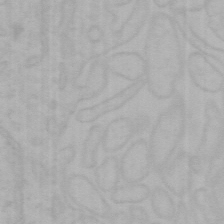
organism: Mouse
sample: Choroid plexus